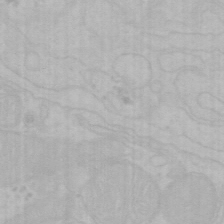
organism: Mouse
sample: Choroid plexus